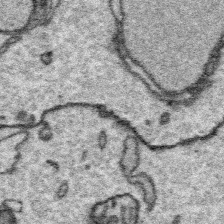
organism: Platynereis dumerilii